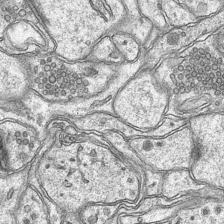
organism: Mouse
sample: CA1 Hippocampus